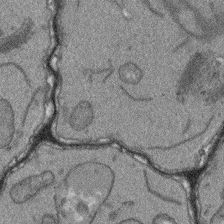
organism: Arabidopsis thaliana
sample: Root tip